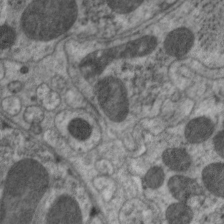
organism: C. elegans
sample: Pharynx